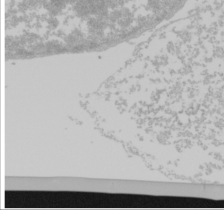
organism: Mouse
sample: Cancer cell death in ED-1 cells